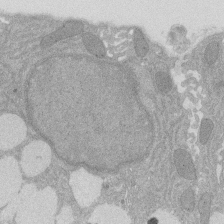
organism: Rat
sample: Salivary granule